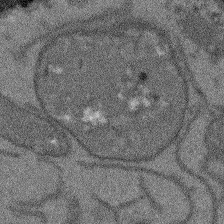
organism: Arabidopsis thaliana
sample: Root tip